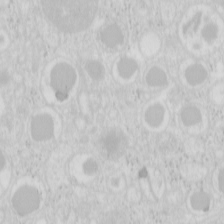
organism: Mouse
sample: Pancreas